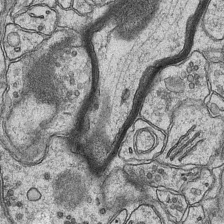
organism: Mouse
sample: CA1 Hippocampus